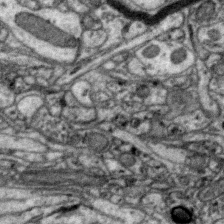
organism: Zebra finch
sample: Brain